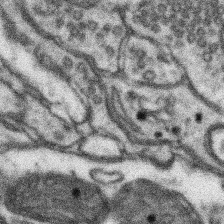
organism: Mouse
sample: Somatosensory cortex neuropil